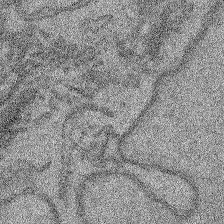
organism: Human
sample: HeLa cells